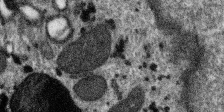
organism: Human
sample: Lung epithelial cells infected with SARS-CoV-2